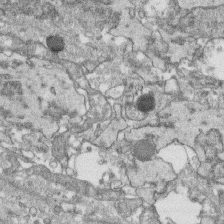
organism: Human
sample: CRL-1474